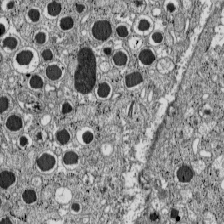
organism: C57BL Mouse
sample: Pancreatic islet